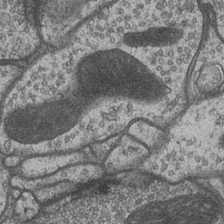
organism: Drosophila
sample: Optic medulla